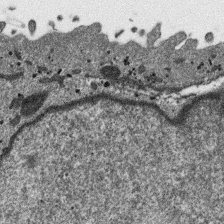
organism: Human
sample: Lung epithelial cells infected with SARS-CoV-2